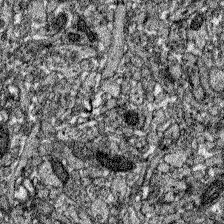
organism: Zebrafish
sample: Larval olfactory bulb